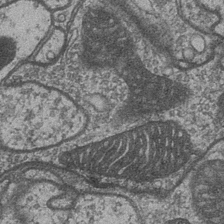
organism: Drosophila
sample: Optic medulla